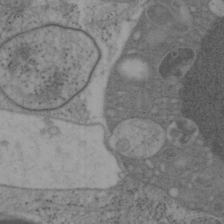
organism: Mouse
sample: OT-I killer T cells with ID8 ovarian cancer cells